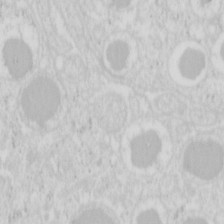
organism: Mouse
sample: Pancreas